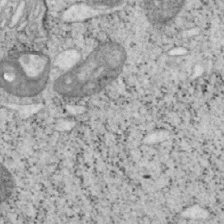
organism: Mouse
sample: OT-I killer T cells with ID8 ovarian cancer cells